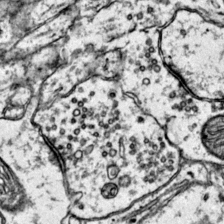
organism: Mouse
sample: Primary visual cortex